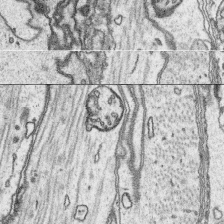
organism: Platynereis dumerilii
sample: Parapodia